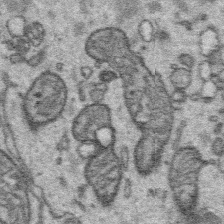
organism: Platynereis dumerilii